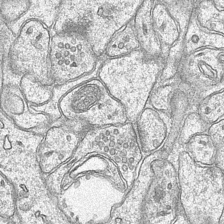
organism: Mouse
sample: CA1 Hippocampus